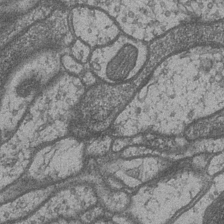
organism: Drosophila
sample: Optic medulla